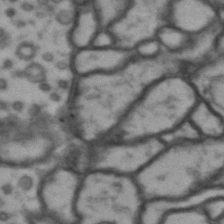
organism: Drosophila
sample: Brain